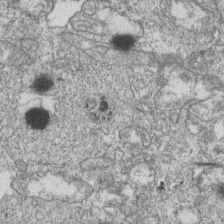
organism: Human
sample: HeLa cell HIV synapse